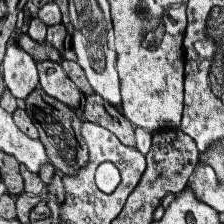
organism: Human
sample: Temporal Lobe